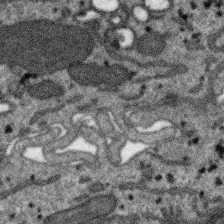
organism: Human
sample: Lung epithelial cells infected with SARS-CoV-2